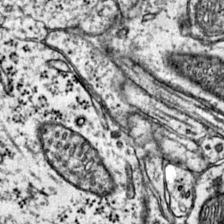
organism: Mouse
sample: Primary visual cortex